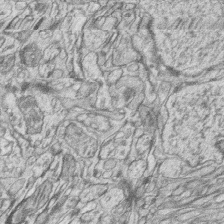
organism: Zebrafish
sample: synaptic ribbons in rod cells and cone cells